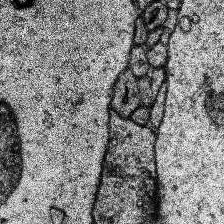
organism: Human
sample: Temporal Lobe